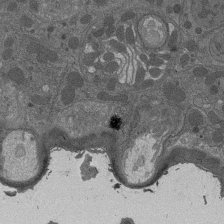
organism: Drosophila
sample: Antenna